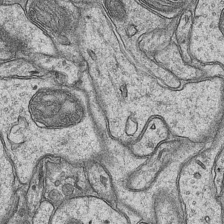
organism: Mouse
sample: CA1 Hippocampus